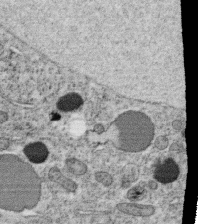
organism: C. elegans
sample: C. elegans oocyte; sperm cells